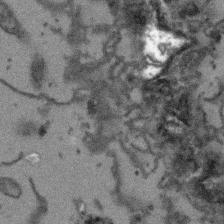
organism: Arabidopsis thaliana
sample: Root tip